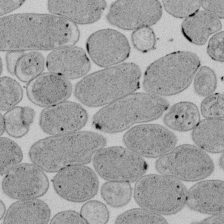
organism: E. coli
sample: Bacterial nucleoid